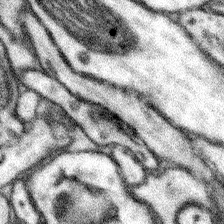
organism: Mouse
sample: Somatosensory cortex neuropil